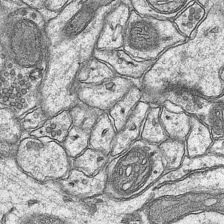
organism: Mouse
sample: CA1 Hippocampus